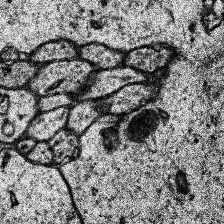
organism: Human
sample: Temporal Lobe